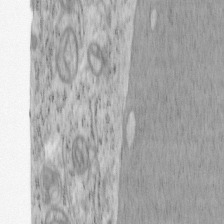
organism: Human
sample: HeLa cells